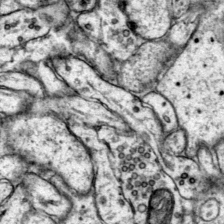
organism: Mouse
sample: Primary visual cortex